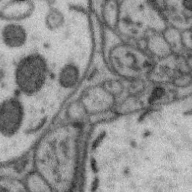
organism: Zebra finch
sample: Brain